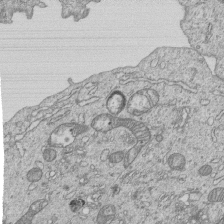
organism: Human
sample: MDA-MB-231 cells